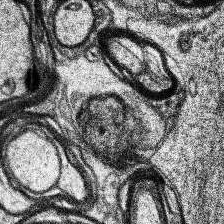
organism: Human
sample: Temporal Lobe